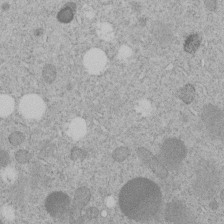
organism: C. elegans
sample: C. elegans embryo early stage